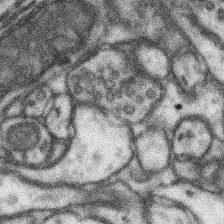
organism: Mouse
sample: Somatosensory cortex neuropil